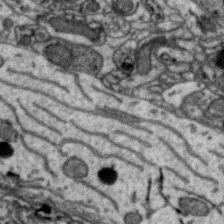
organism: Zebra finch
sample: Brain